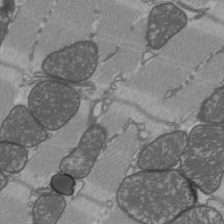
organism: C57BL Mouse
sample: Heart